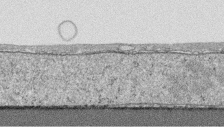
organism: Human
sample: CRL-1474